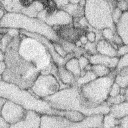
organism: Rabbit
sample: Retina